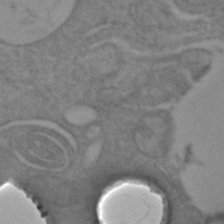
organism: C. elegans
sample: C. elegans embryo